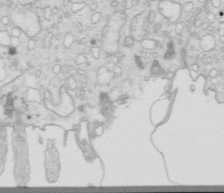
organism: Mouse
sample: Multiciliated cells